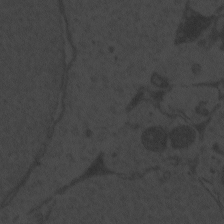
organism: Zebrafish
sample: Macrophage infected with Toxoplasma gondii